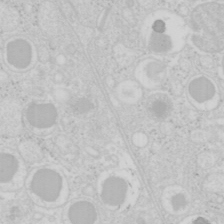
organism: Mouse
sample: Pancreas